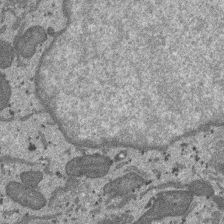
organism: Human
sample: Lung epithelial cells infected with SARS-CoV-2